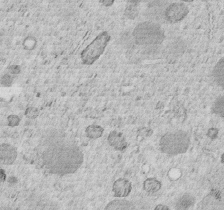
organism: C. elegans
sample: C. elegans embryo early stage